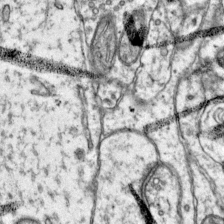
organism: Mouse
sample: Primary visual cortex